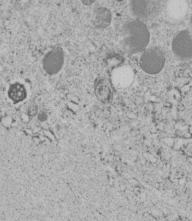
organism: C. elegans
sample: C. elegans embryo early stage